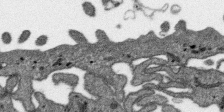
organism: Human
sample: Lung epithelial cells, uninfected (mock) control